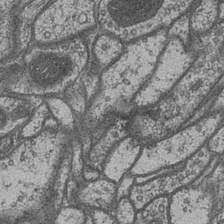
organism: Drosophila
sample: Optic medulla